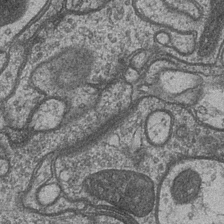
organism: Drosophila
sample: Optic medulla